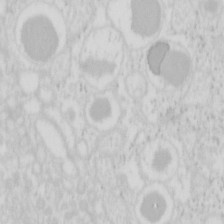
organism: Mouse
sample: Pancreas